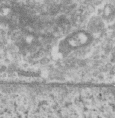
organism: Human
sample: Centriole in RPE cells